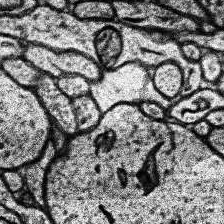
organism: Human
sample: Temporal Lobe